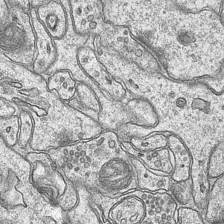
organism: Mouse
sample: CA1 Hippocampus